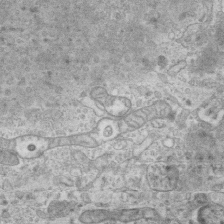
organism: Mouse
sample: Centriole in ependymal cells